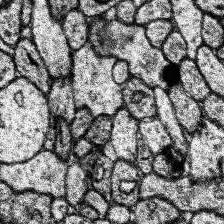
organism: Human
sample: Temporal Lobe